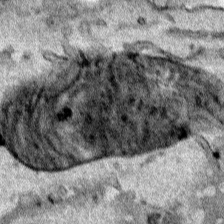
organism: Human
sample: Mitochondria in HCT116 cells